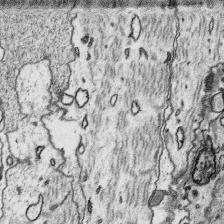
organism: Platynereis dumerilii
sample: Parapodia